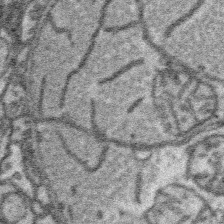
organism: Platynereis dumerilii